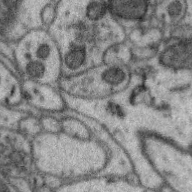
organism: Zebra finch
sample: Brain